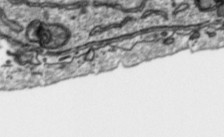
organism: Toxoplasma gondii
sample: Parasites in a vacuole inside a host cell